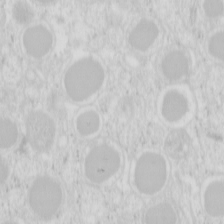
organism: Mouse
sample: Pancreas